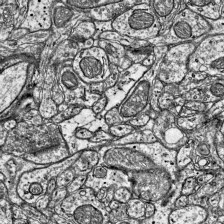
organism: Mouse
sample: Visual Cortex